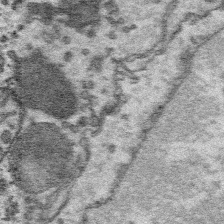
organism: Platynereis dumerilii